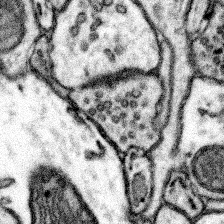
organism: Mouse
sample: Somatosensory cortex neuropil